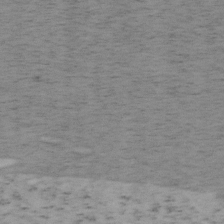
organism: Mouse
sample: OT-I killer T cells with ID8 ovarian cancer cells